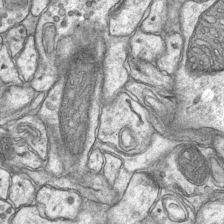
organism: Mouse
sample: CA1 Hippocampus